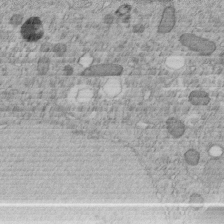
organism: C. elegans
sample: C. elegans embryo early stage